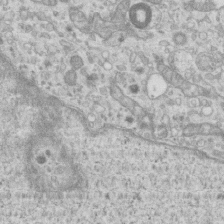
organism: Mouse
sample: Centriole in ependymal cells